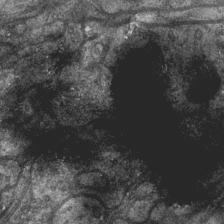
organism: Drosophila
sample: Optic medulla